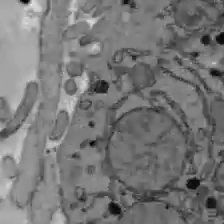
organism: C57BL Mouse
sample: Liver